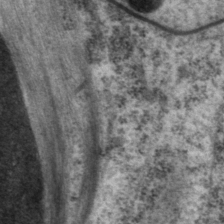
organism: P. pacificus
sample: Pharynx